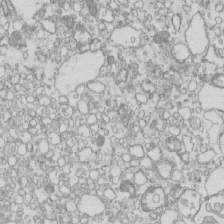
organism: Mouse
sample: Macrophages